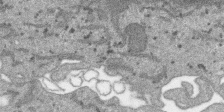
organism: Human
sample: Lung epithelial cells infected with SARS-CoV-2